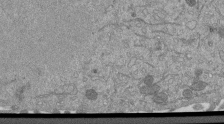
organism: Mouse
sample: ED-1 cell nuclei; centrioles